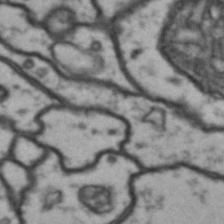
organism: Drosophila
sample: Brain